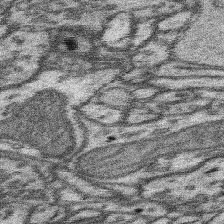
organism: Mouse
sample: Somatosensory cortex neuropil